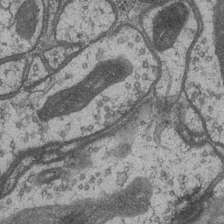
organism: Drosophila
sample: Optic medulla